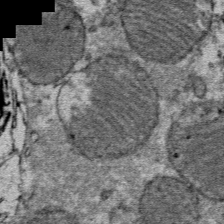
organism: Mouse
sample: Mouse Salivary gland